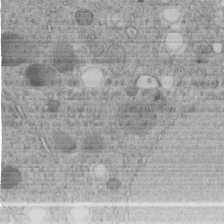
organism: C. elegans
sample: C. elegans embryo early stage